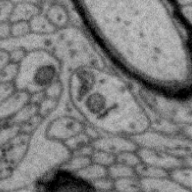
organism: Zebra finch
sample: Brain